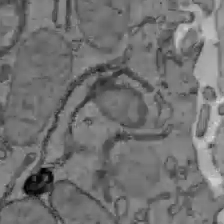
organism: C57BL Mouse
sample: Liver